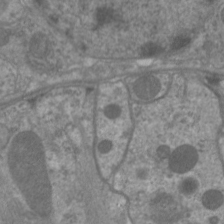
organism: C. elegans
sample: Pharynx